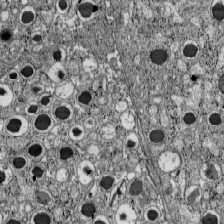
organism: C57BL Mouse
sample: Pancreatic islet